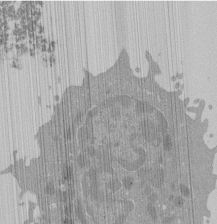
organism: Mouse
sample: Activated Pmel transgenic CD8+ T Cells